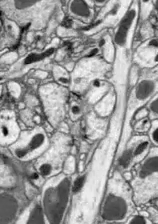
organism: Drosophila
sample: Optic lobe